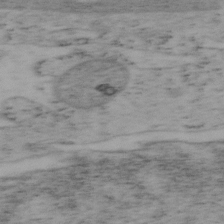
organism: Mouse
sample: OT-I killer T cells with ID8 ovarian cancer cells